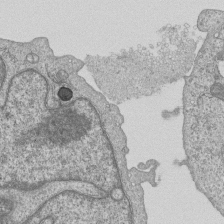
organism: Human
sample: MDA-MB-231 cells